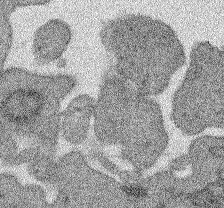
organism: Human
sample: HeLa cells